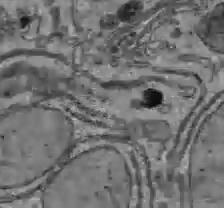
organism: C57BL Mouse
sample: Liver